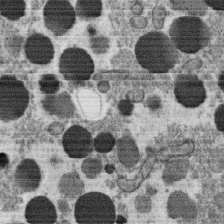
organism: C. elegans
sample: C. elegans oocyte; sperm cells